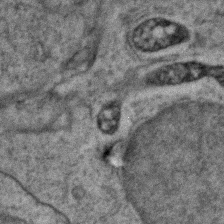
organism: Zebrafish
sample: Zebrafish embryo